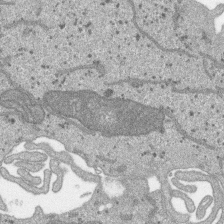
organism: Human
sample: Lung epithelial cells infected with SARS-CoV-2